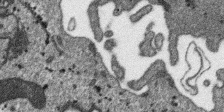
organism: Human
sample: Lung epithelial cells infected with SARS-CoV-2